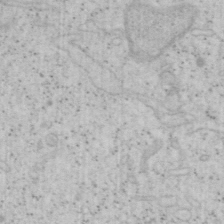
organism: Human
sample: HeLa cells